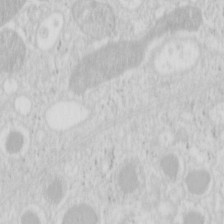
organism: Mouse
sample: Pancreas